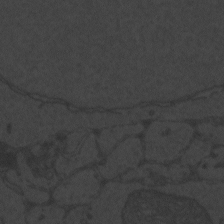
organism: Zebrafish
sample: Macrophage infected with Toxoplasma gondii